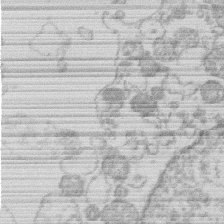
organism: Human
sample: Macrophage cells